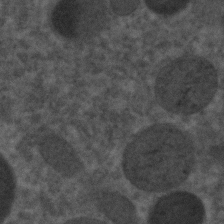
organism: C. elegans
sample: C. elegans embryo